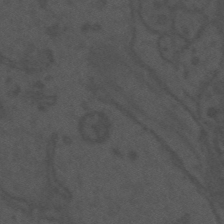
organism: Mouse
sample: Suprachiasmatic nucleus